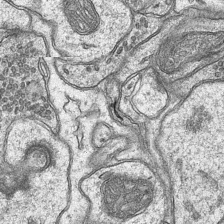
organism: Mouse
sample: CA1 Hippocampus